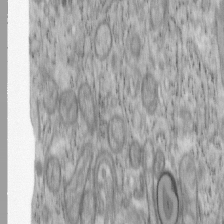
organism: Human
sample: HeLa cells